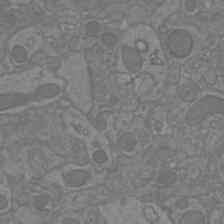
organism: Mouse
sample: Cortical neurons